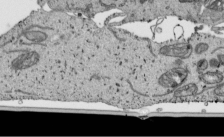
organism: Human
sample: Mitochondria in HCT116 cells